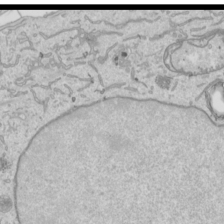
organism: Human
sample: Mitochondria in HCT116 cells